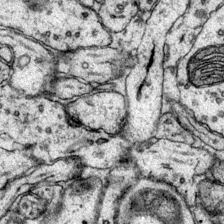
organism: Mouse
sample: Primary visual cortex